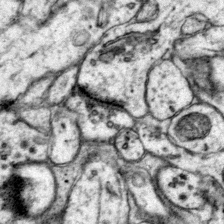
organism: Mouse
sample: Primary visual cortex